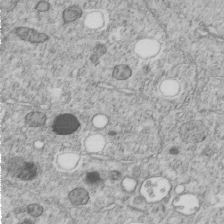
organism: C. elegans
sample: C. elegans embryo early stage